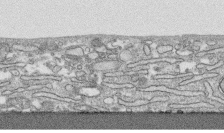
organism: Human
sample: CRL-1474